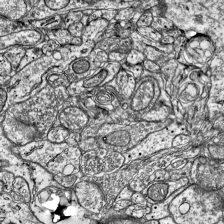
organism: Mouse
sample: Visual Cortex